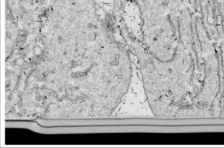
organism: Drosophila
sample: Cell division; meiosis; drosophila spermatocytes